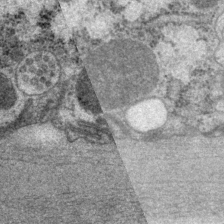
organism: P. pacificus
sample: Pharynx